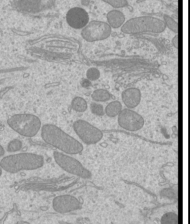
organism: Mouse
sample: Cilia; mouse epididymis